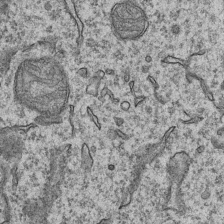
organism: Mouse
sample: CA1 Hippocampus